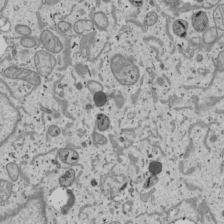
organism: Human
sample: Mitochondria in U2OS cells